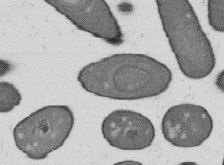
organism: B. subtilis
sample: Bacterial spore